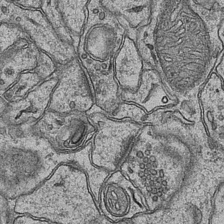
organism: Mouse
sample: CA1 Hippocampus